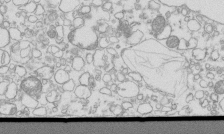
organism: Mouse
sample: Macrophages